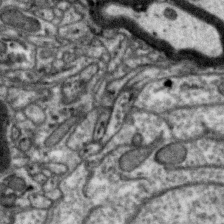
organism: Zebra finch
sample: Brain